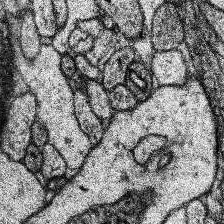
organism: Human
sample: Temporal Lobe